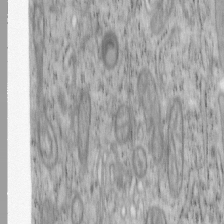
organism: Human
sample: HeLa cells